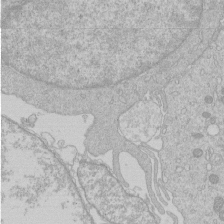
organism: Human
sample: Macrophage cells